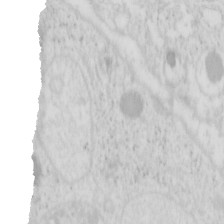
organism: Mouse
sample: Pancreas